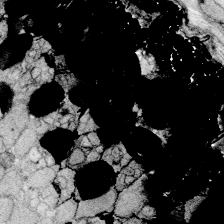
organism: Zebrafish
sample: Whole-Brain